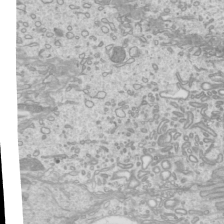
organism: Mouse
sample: Cilia; mouse epididymis